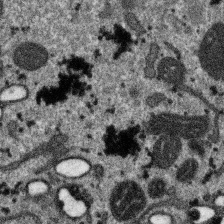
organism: Human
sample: Lung epithelial cells infected with SARS-CoV-2